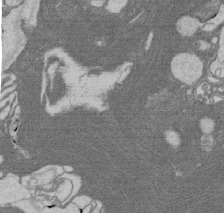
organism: Rat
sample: Salivary granule